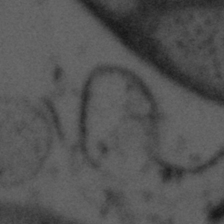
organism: Tuwongella immobilis